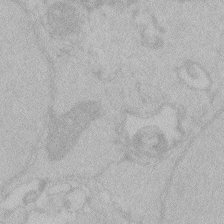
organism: Zebrafish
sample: Macrophage infected with Toxoplasma gondii